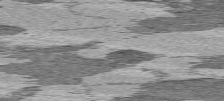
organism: C57BL Mouse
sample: Heart